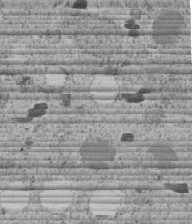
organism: C. elegans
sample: C. elegans embryo early stage